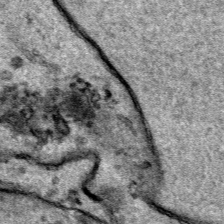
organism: Human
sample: Mitochondria in HCT116 cells